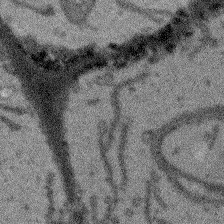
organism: Arabidopsis thaliana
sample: Root tip